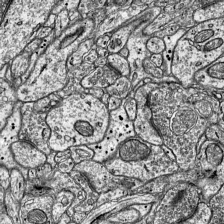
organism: Mouse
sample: Visual Cortex